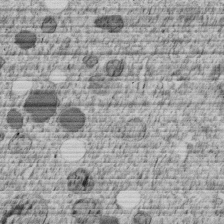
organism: C. elegans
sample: C. elegans embryo early stage